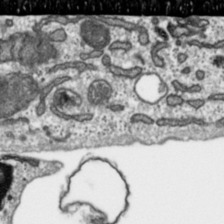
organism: Toxoplasma gondii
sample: Parasites in a vacuole inside a host cell